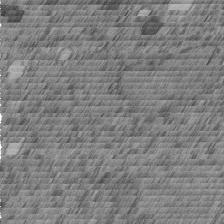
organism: C. elegans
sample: C. elegans embryo early stage